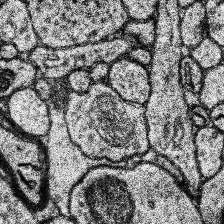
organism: Human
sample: Temporal Lobe